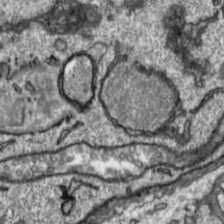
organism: Toxoplasma gondii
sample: Parasites in a vacuole inside a host cell